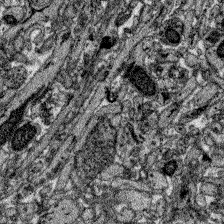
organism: Zebrafish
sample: Larval olfactory bulb